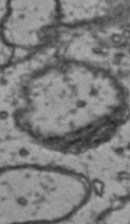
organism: Drosophila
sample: Brain